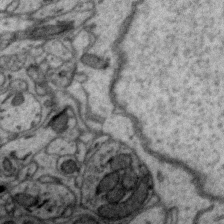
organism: Zebra finch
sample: Brain